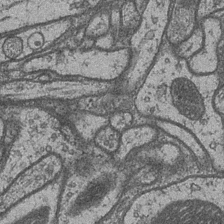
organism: Drosophila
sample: Optic medulla